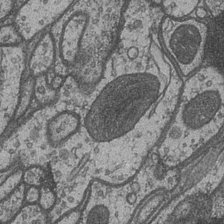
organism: Drosophila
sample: Optic medulla